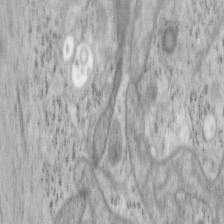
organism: Human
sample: HeLa cells